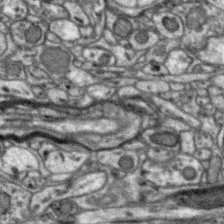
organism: Zebra finch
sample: Brain